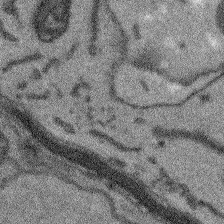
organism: Arabidopsis thaliana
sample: Root tip